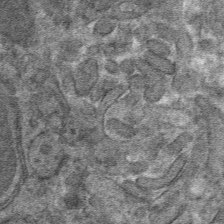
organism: Mouse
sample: Mouse hepatocytes